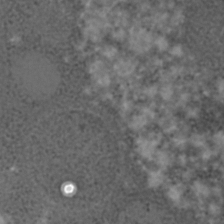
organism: C. elegans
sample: C. elegans embryo